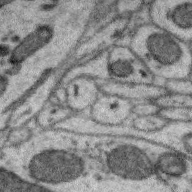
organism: Zebra finch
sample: Brain